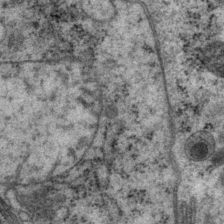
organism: P. pacificus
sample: Pharynx